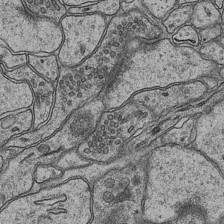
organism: Mouse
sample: CA1 Hippocampus